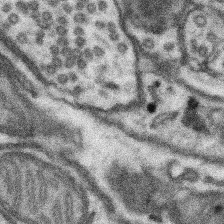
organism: Mouse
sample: Somatosensory cortex neuropil